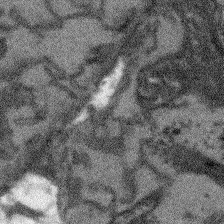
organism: Arabidopsis thaliana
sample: Root tip